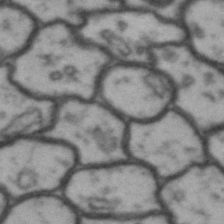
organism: Drosophila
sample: Brain